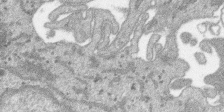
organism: Human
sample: Lung epithelial cells infected with SARS-CoV-2